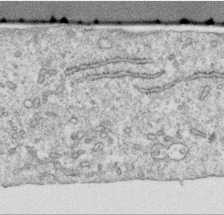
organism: Human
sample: Centriole in RPE cells